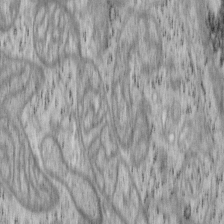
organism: Human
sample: HeLa cells